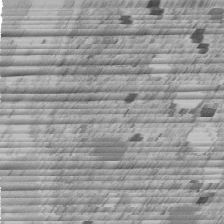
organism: C. elegans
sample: C. elegans embryo early stage